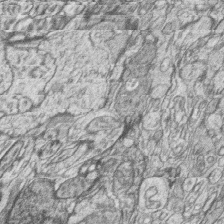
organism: Zebrafish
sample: synaptic ribbons in rod cells and cone cells